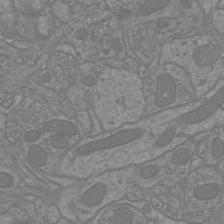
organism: Mouse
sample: Cortical neurons